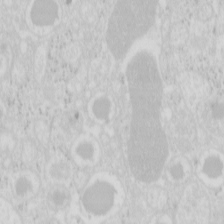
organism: Mouse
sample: Pancreas